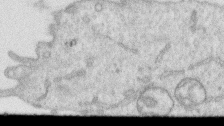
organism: Human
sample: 1205lu cells